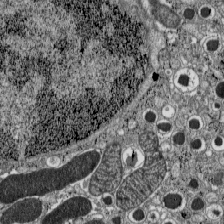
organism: C57BL Mouse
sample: Pancreatic islet